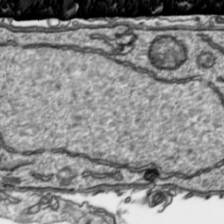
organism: Toxoplasma gondii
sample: Parasites in a vacuole inside a host cell